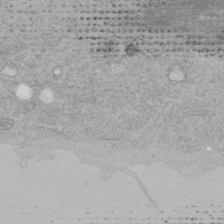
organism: Human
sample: Mitochondria in HCT116 cells